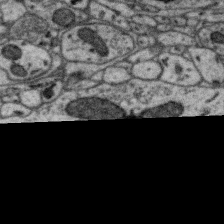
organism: Zebra finch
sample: Brain